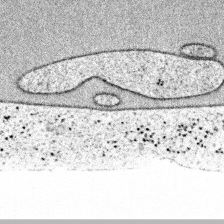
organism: Human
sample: HeLa cells